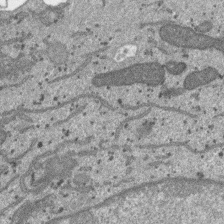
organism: Human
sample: Lung epithelial cells infected with SARS-CoV-2